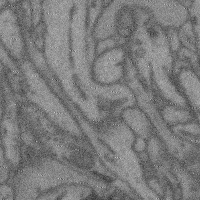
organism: Mouse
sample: Cerebral cortex